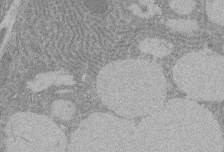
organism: Rat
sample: Salivary granule